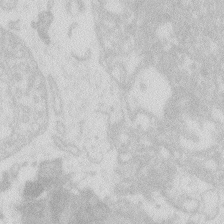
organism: Zebrafish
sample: Macrophage